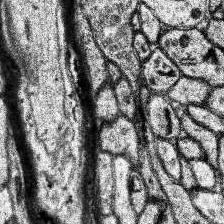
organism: Human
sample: Temporal Lobe